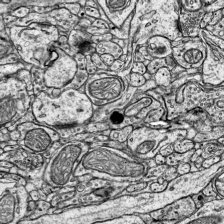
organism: Mouse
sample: Visual Cortex